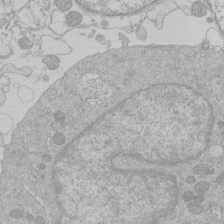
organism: Human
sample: Macrophage cells